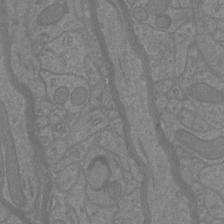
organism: Mouse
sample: Cortical neurons